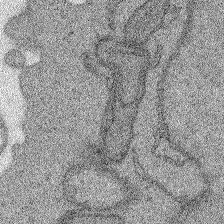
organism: Human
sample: HeLa cells